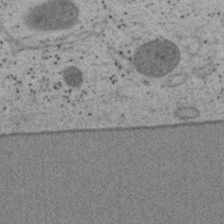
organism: Human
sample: HeLa cells